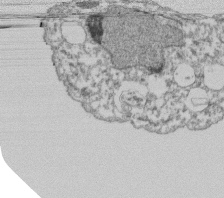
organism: Dictyostelium discoideum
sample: Dictyostelium multivesicular bodies